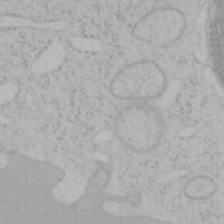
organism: Mouse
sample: OT-I killer T cells with ID8 ovarian cancer cells